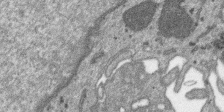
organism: Human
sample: Lung epithelial cells infected with SARS-CoV-2